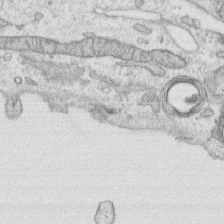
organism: Human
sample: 1205lu cells